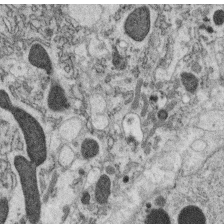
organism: C. elegans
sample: C. elegans oocyte; sperm cells